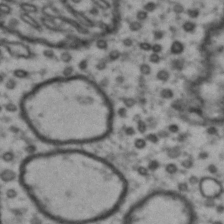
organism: Drosophila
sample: Brain